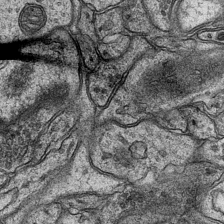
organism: Mouse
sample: CA1 Hippocampus